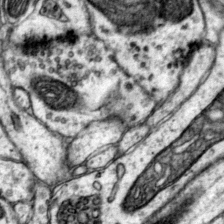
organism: Mouse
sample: Primary visual cortex